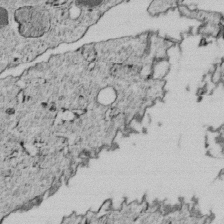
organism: C. elegans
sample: C. elegans embryo early stage